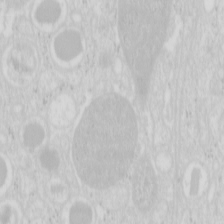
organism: Mouse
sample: Pancreas